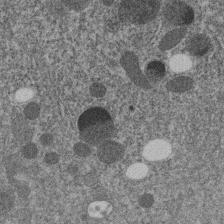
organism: C. elegans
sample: C. elegans embryo early stage